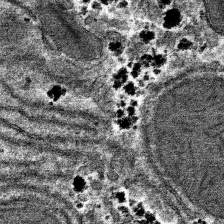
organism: Mouse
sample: Mouse hepatocytes